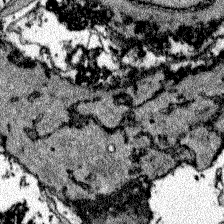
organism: Zebrafish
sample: Larval olfactory bulb